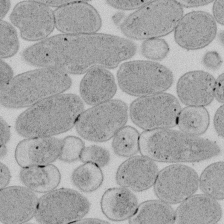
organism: E. coli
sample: Bacterial nucleoid